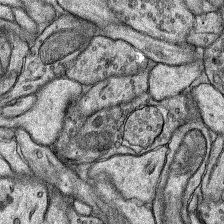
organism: Rat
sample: Hippocampus